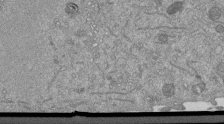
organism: Mouse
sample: ED-1 cell nuclei; centrioles